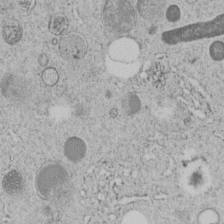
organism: C. elegans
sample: C. elegans embryo early stage